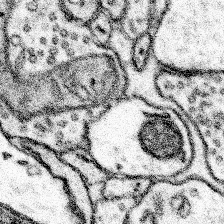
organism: Mouse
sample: Somatosensory cortex neuropil